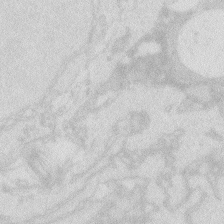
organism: Zebrafish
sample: Macrophage